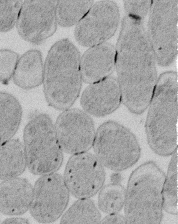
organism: E. coli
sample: Bacterial nucleoid